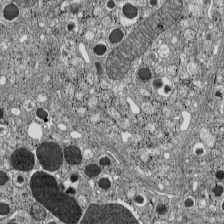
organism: C57BL Mouse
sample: Pancreatic islet